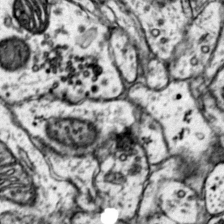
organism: Mouse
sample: Primary visual cortex